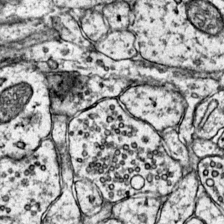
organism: Mouse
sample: Primary visual cortex